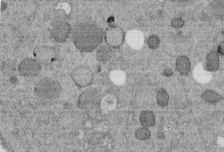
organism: C. elegans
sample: C. elegans embryo early stage